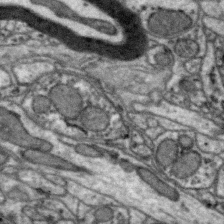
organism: Zebra finch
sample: Brain